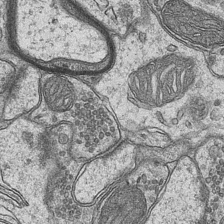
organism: Mouse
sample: CA1 Hippocampus